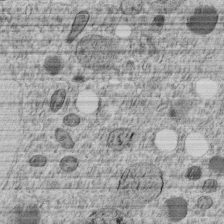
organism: C. elegans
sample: C. elegans embryo early stage